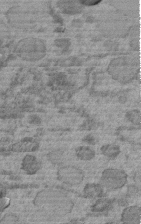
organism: C. elegans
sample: C. elegans embryo early stage